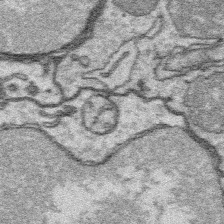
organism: Platynereis dumerilii